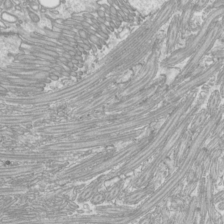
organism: Mouse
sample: Cilia; mouse epididymis